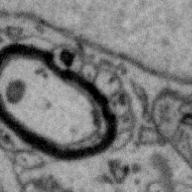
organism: Zebra finch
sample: Brain